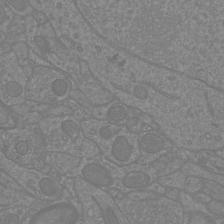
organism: Mouse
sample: Cortical neurons